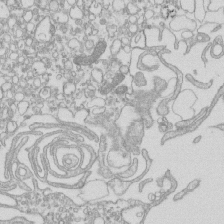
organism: Mouse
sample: Macrophages